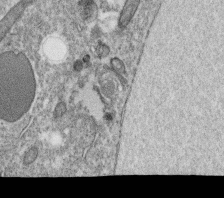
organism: C. elegans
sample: C. elegans oocyte; sperm cells